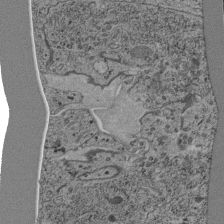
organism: C. elegans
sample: C. elegans pharynx